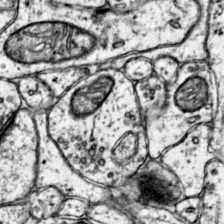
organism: Mouse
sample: Primary visual cortex